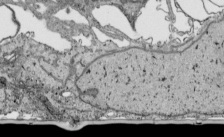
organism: Human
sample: Mitochondria in HCT116 cells